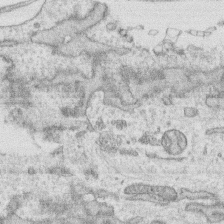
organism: Human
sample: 1205lu cells